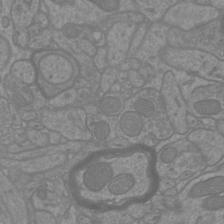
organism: Mouse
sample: Cortical neurons